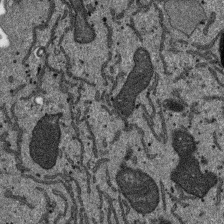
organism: Human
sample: Lung epithelial cells infected with SARS-CoV-2